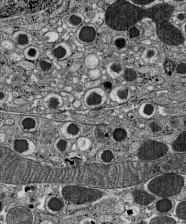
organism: C57BL Mouse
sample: Pancreatic islet